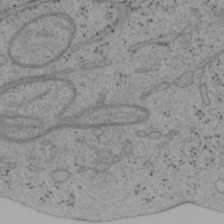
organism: Human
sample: HeLa cells